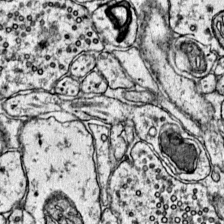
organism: Mouse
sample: Primary visual cortex